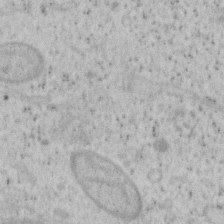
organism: Human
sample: HeLa cells